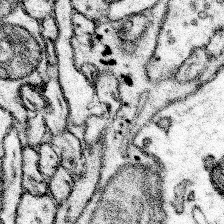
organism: Mouse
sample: Somatosensory cortex neuropil